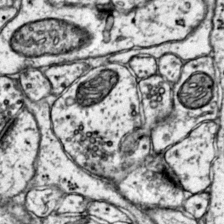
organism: Mouse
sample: Primary visual cortex